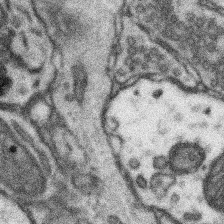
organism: Mouse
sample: Somatosensory cortex neuropil